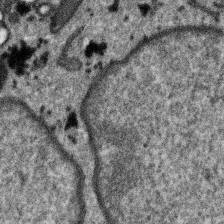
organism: Human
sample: Lung epithelial cells infected with SARS-CoV-2